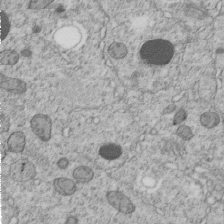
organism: C. elegans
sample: C. elegans embryo early stage